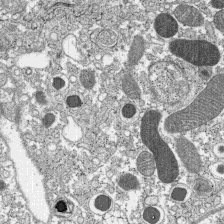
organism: C57BL Mouse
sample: Pancreatic islet